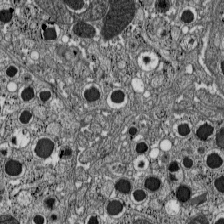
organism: C57BL Mouse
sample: Pancreatic islet